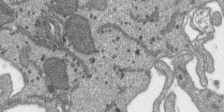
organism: Human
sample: Lung epithelial cells infected with SARS-CoV-2